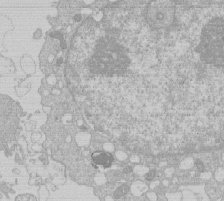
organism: Human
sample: Macrophage cells